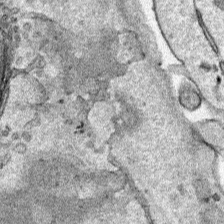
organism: Human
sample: Mitochondria in HCT116 cells